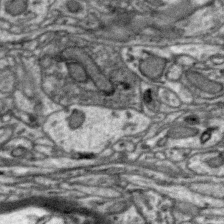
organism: Zebra finch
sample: Brain